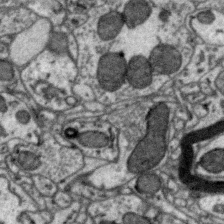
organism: Zebra finch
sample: Brain